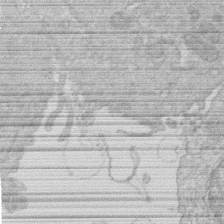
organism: Human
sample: Macrophage cells